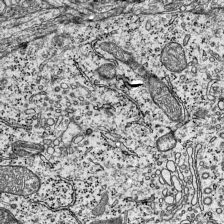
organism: Mouse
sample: Visual Cortex